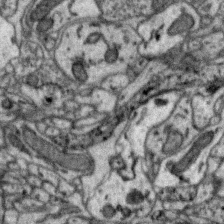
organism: Zebra finch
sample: Brain